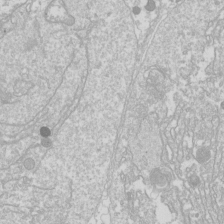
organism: Drosophila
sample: Cell division; meiosis; drosophila spermatocytes